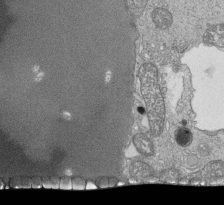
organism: Tetrahymena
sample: Cilia in tetrahymena